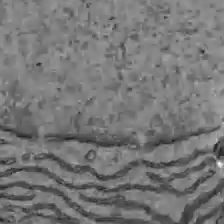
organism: C57BL Mouse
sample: Liver